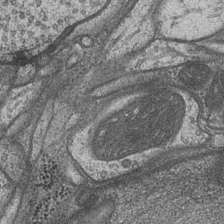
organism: Drosophila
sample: Optic medulla